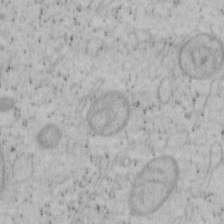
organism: Human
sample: HeLa cells